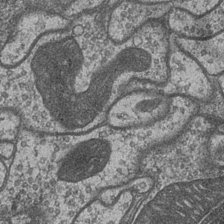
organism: Drosophila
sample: Optic medulla